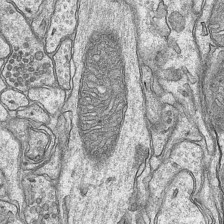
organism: Mouse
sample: CA1 Hippocampus